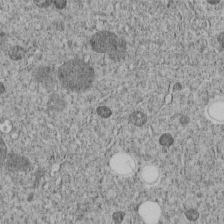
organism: C. elegans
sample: C. elegans embryo early stage